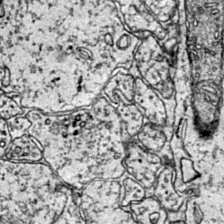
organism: Mouse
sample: Primary visual cortex